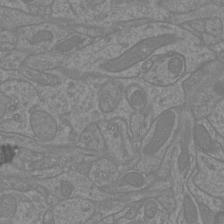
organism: Mouse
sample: Cortical neurons